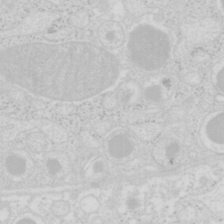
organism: Mouse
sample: Pancreas